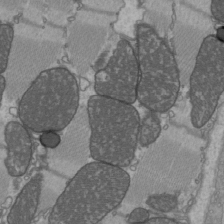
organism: C57BL Mouse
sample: Heart